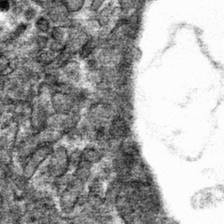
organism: Mouse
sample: Mouse hepatocytes